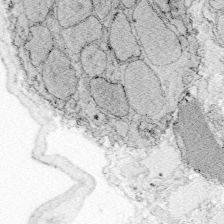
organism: Zebrafish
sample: Whole-Brain